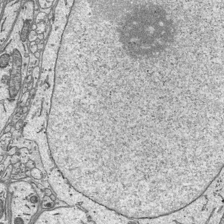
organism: Mouse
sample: Suprachiasmatic nucleus